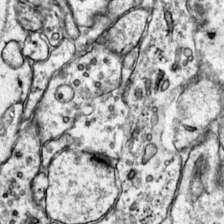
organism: Mouse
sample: Primary visual cortex